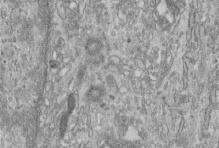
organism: Human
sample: Centriole in fibroblast cells